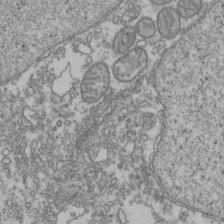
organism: Human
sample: Activated Jurkat CD4+ T cells